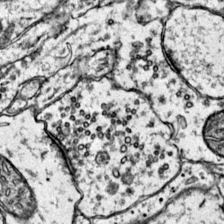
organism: Mouse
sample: Primary visual cortex